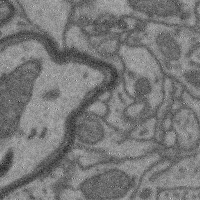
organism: Mouse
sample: Cerebral cortex